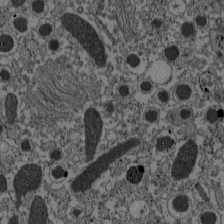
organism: C57BL Mouse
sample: Pancreatic islet